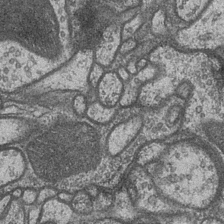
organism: Drosophila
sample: Optic medulla